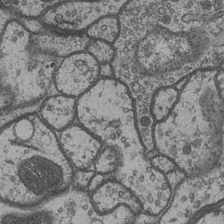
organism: Drosophila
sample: Optic medulla